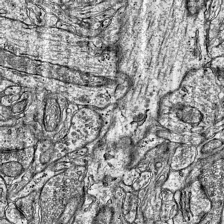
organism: Mouse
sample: Visual Cortex